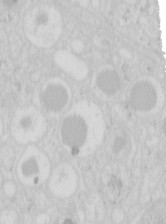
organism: Mouse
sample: Pancreas